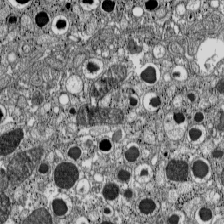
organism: C57BL Mouse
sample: Pancreatic islet